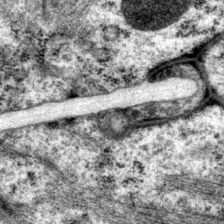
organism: P. pacificus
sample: Pharynx